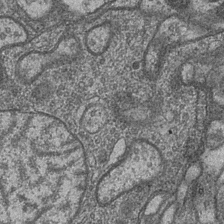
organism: Drosophila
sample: Optic medulla